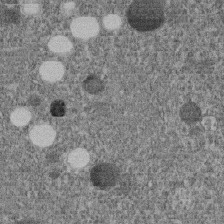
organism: C. elegans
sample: C. elegans embryo early stage